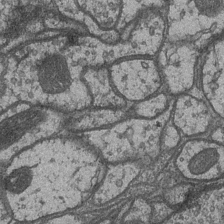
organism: Drosophila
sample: Optic medulla